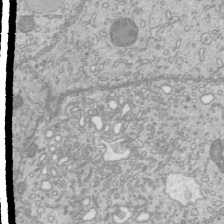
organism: Mouse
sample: Cilia; mouse epididymis